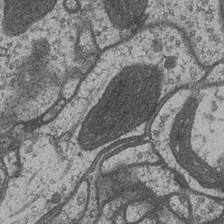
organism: Drosophila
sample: Optic medulla